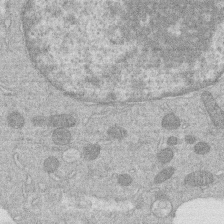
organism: Human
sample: Macrophage cells